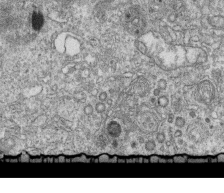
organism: Human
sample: HeLa cell HIV synapse